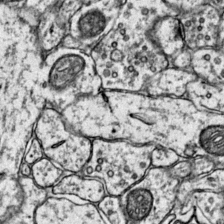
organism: Mouse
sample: Primary visual cortex